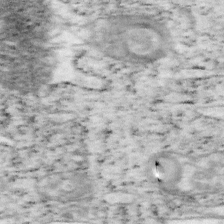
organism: Mouse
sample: OT-I killer T cells with ID8 ovarian cancer cells